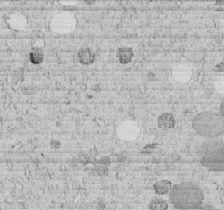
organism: C. elegans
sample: C. elegans embryo early stage